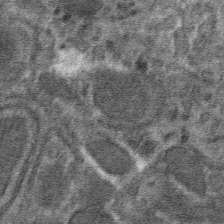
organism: Mouse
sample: Mouse hepatocytes